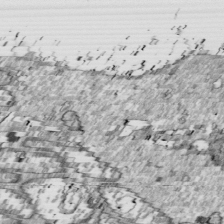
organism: Drosophila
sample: Cell division; meiosis; drosophila spermatocytes